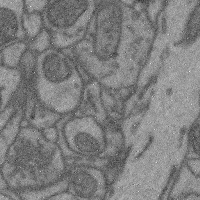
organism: Mouse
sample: Cerebral cortex